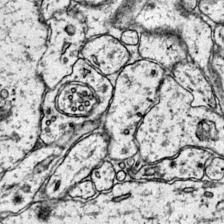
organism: Mouse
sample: Primary visual cortex